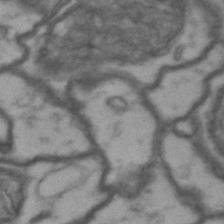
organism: Drosophila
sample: Brain